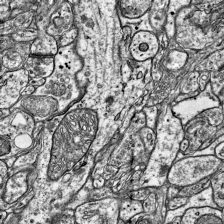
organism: Mouse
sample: Visual Cortex